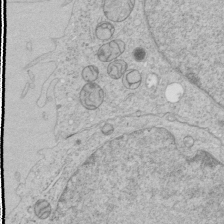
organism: Human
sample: Mitochondria in HCT116 cells